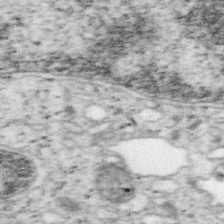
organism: Mouse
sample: OT-I killer T cells with ID8 ovarian cancer cells